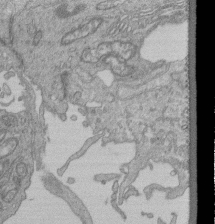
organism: Human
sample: Retinal organoid Rod and Cone cells